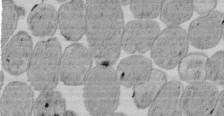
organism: E. coli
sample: Bacterial nucleoid